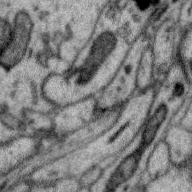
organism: Zebra finch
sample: Brain